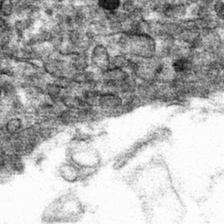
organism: Mouse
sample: Mouse hepatocytes